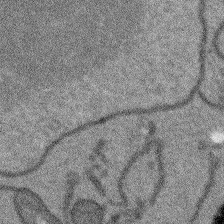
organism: Arabidopsis thaliana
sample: Root tip